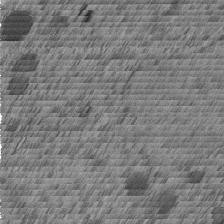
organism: C. elegans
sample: C. elegans embryo early stage